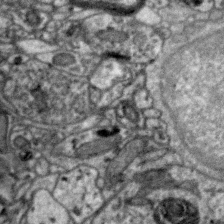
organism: Zebra finch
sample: Brain